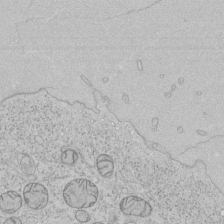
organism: Human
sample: Mitochondria in HCT116 cells